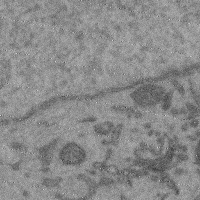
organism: Mouse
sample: Cerebral cortex